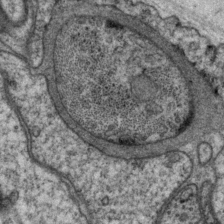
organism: P. pacificus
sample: Pharynx